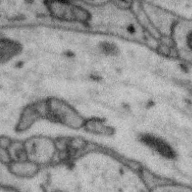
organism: Zebra finch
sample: Brain